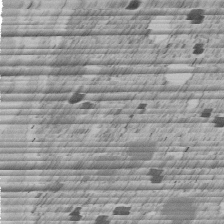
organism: C. elegans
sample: C. elegans embryo early stage